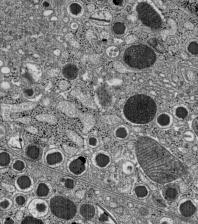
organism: C57BL Mouse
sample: Pancreatic islet